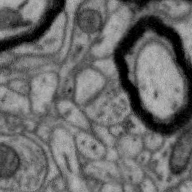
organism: Zebra finch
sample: Brain